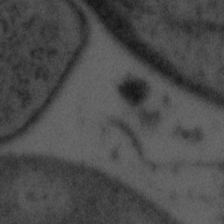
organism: Tuwongella immobilis